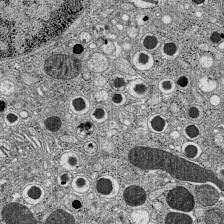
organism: C57BL Mouse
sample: Pancreatic islet